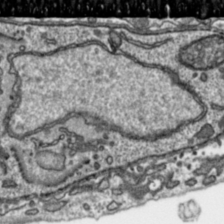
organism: Toxoplasma gondii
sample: Parasites in a vacuole inside a host cell